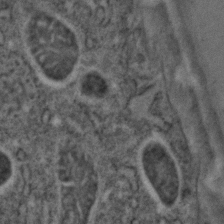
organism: C. elegans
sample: C. elegans embryo